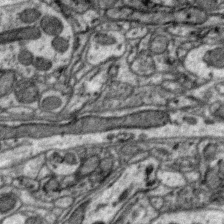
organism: Zebra finch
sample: Brain